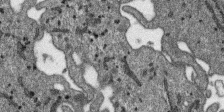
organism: Human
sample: Lung epithelial cells infected with SARS-CoV-2